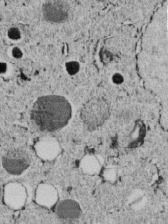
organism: C. elegans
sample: C. elegans embryo early stage